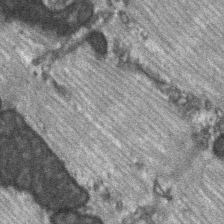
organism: C57BL Mouse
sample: Soleus